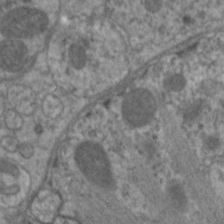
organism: C. elegans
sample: Pharynx